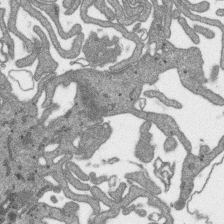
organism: Human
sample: Lung epithelial cells infected with SARS-CoV-2